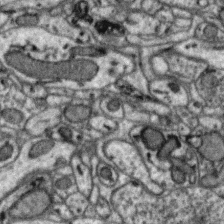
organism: Zebra finch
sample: Brain